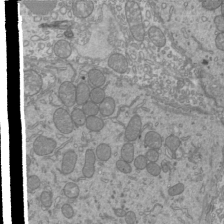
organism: Mouse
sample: Cilia; mouse epididymis